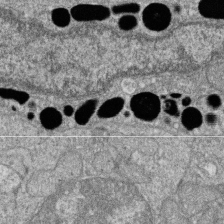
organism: Zebrafish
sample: Cilia; retinal pigment epithelium